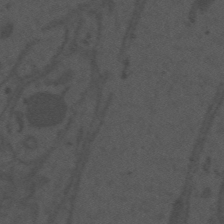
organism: Mouse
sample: Suprachiasmatic nucleus